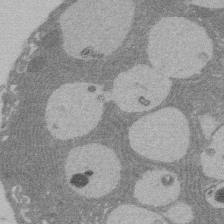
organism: Rat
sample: Salivary granule